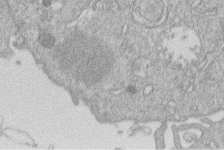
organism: Human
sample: Macrophage cells